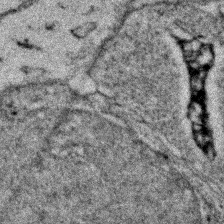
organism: Zebrafish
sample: Zebrafish embryo